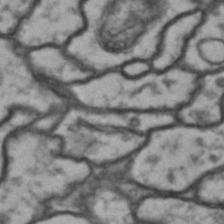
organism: Drosophila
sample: Brain